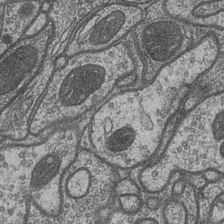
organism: Drosophila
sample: Optic medulla